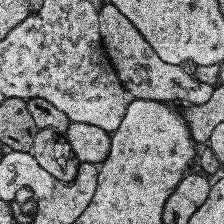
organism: Human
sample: Temporal Lobe